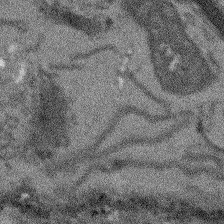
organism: Arabidopsis thaliana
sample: Root tip